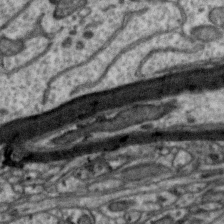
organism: Zebra finch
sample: Brain